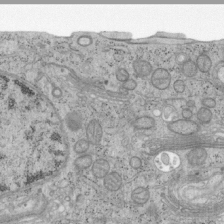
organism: Human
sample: HeLa cells